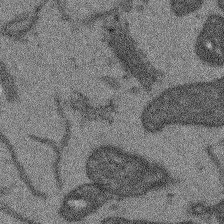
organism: Arabidopsis thaliana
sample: Root tip